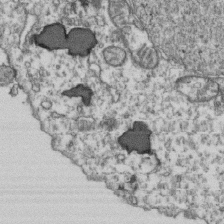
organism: Human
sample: Activated Jurkat CD4+ T cells